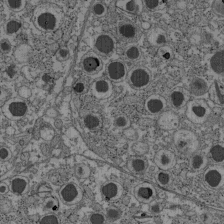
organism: C57BL Mouse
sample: Pancreatic islet